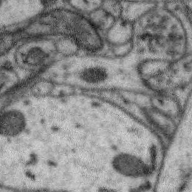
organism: Zebra finch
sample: Brain